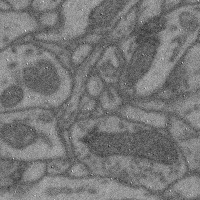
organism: Mouse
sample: Cerebral cortex